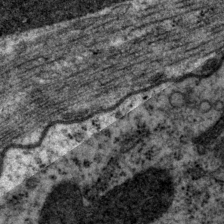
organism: P. pacificus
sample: Pharynx